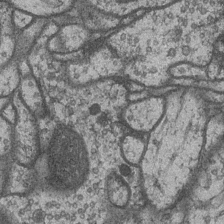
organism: Drosophila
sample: Optic medulla